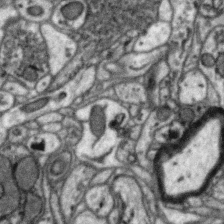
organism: Zebra finch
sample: Brain